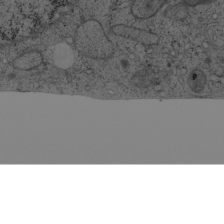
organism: African green monkey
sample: COS-7 cells